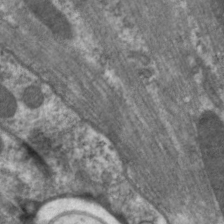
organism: C. elegans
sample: Pharynx